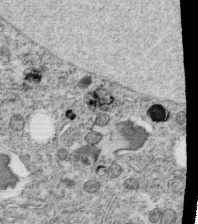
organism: C. elegans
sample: C. elegans oocyte; sperm cells